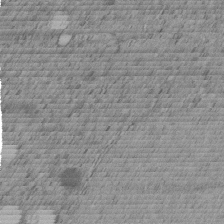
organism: C. elegans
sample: C. elegans embryo early stage